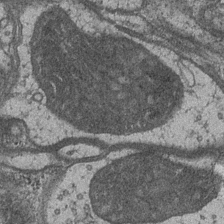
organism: Drosophila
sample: Optic medulla